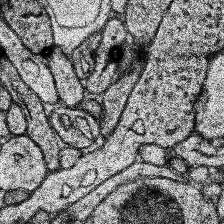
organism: Human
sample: Temporal Lobe